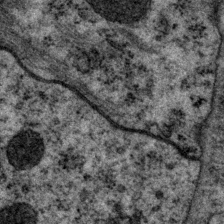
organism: P. pacificus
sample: Pharynx